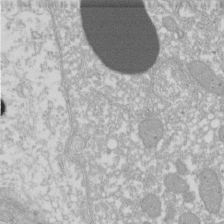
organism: Xenopus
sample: Cilia; centrioles in frog embryo cells